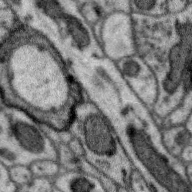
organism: Zebra finch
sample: Brain